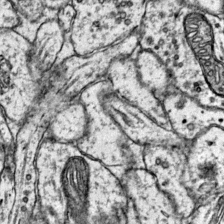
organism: Mouse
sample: Primary visual cortex